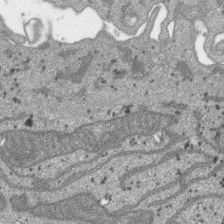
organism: Human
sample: Lung epithelial cells infected with SARS-CoV-2